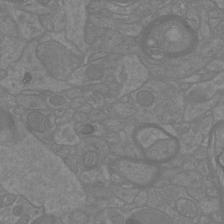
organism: Mouse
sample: Cortical neurons